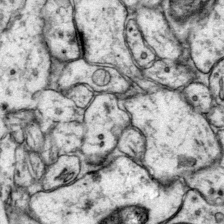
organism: Mouse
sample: Primary visual cortex